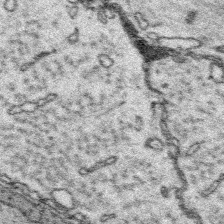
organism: Platynereis dumerilii